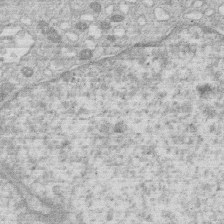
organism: Human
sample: Macrophage cells